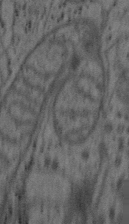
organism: Human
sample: HeLa cells